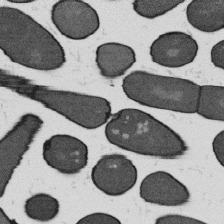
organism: B. subtilis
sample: Bacterial spore